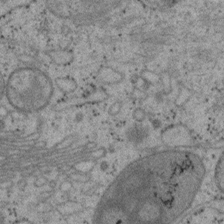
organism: Human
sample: HeLa cells